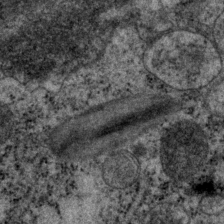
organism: P. pacificus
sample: Pharynx